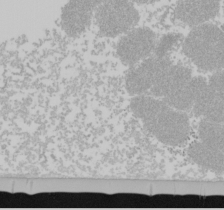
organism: Mouse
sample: Cancer cell death in ED-1 cells